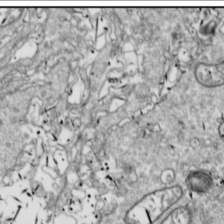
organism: Drosophila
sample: Cell division; meiosis; drosophila spermatocytes